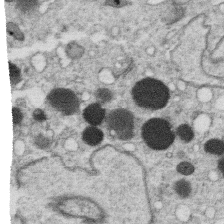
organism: C. elegans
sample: C. elegans oocyte; sperm cells